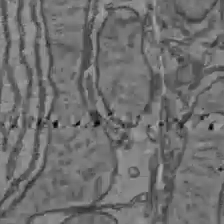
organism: C57BL Mouse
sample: Liver